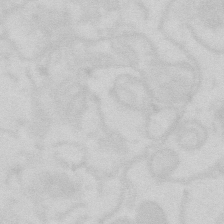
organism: Human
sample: HeLa cells